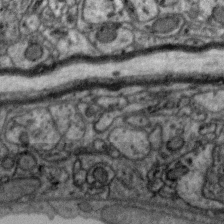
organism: Zebra finch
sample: Brain